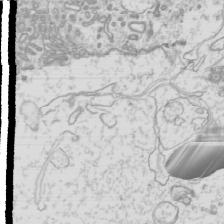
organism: Mouse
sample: Cilia; mouse epididymis